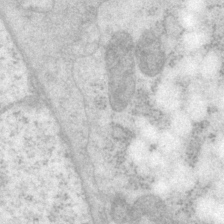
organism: P. pacificus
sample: Pharynx